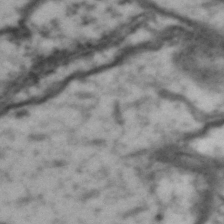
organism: Drosophila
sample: Brain